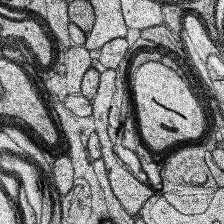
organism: Human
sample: Temporal Lobe